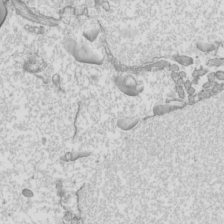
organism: Mouse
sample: Cilia; mouse epididymis